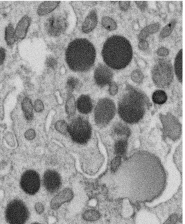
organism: C. elegans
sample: C. elegans oocyte; sperm cells